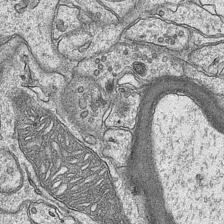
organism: Mouse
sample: CA1 Hippocampus